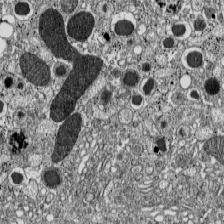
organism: C57BL Mouse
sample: Pancreatic islet